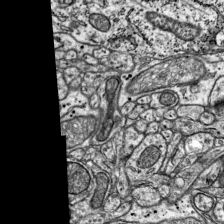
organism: Mouse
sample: Visual Cortex